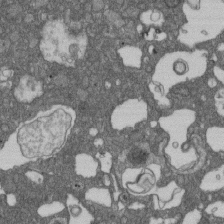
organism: Drosophila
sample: Nephrocyte